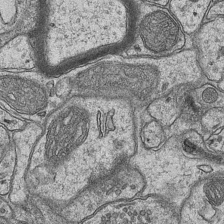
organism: Mouse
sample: CA1 Hippocampus